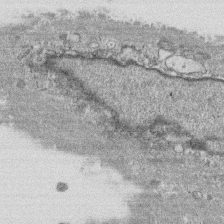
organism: Human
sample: CRL-1474